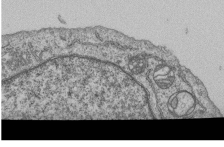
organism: Human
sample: MDA-MB-231 cells